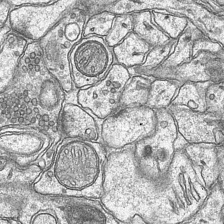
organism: Mouse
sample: CA1 Hippocampus